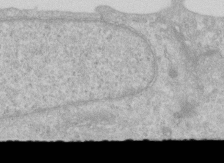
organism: Human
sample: Centriole in RPE cells